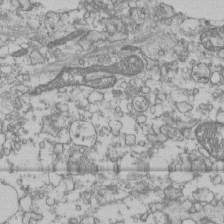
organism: Human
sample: Fibroblast cells